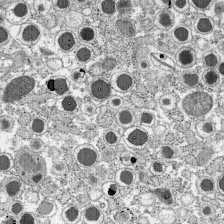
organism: C57BL Mouse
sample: Pancreatic islet